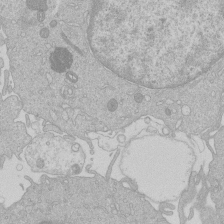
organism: Human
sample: Macrophage cells